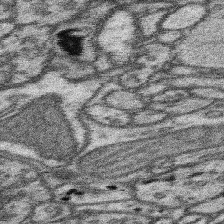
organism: Mouse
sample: Somatosensory cortex neuropil